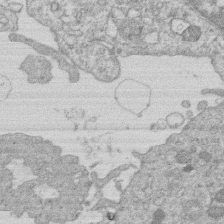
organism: Human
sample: Macrophage cells